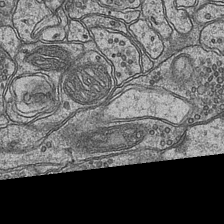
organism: Mouse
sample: CA1 Hippocampus